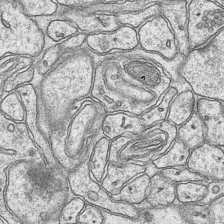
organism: Mouse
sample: CA1 Hippocampus